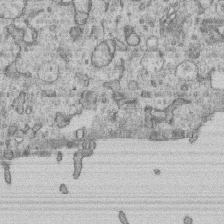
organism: Human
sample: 1205lu cells